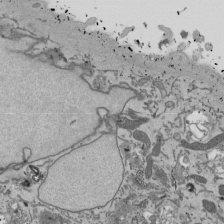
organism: Mouse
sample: ED-1 cell nuclei; centrioles